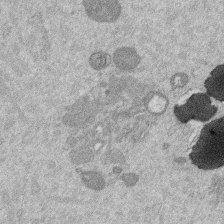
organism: Mouse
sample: Dividing mouse embryo 1 cell stage